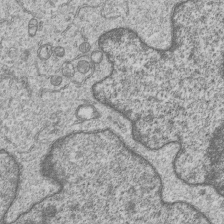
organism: Human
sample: MDA-MB-231 cells